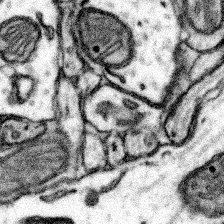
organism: Mouse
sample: Somatosensory cortex neuropil